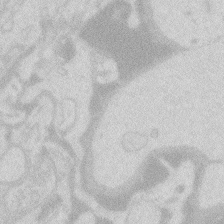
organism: Zebrafish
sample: Macrophage